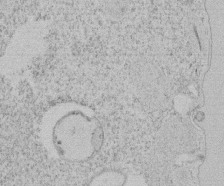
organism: Tetrahymena